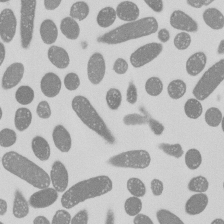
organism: E. coli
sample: Bacterial nucleoid